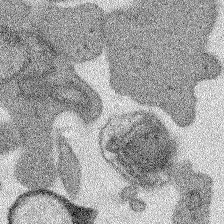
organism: Human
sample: HeLa cells